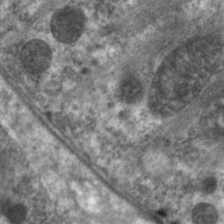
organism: C. elegans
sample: Pharynx